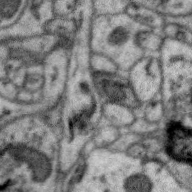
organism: Zebra finch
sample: Brain